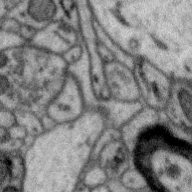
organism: Zebra finch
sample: Brain